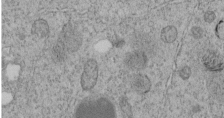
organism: C. elegans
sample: C. elegans embryo early stage